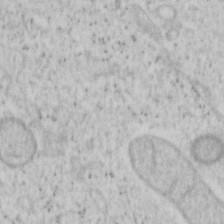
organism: Human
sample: HeLa cells